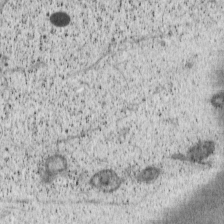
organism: African green monkey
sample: COS-7 cells